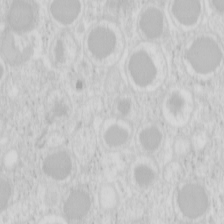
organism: Mouse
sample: Pancreas